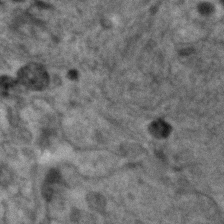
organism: Human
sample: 1205lu cells